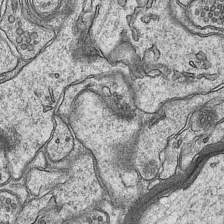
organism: Mouse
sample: CA1 Hippocampus